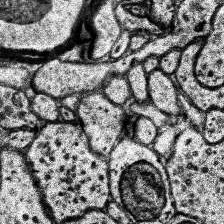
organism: Human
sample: Temporal Lobe